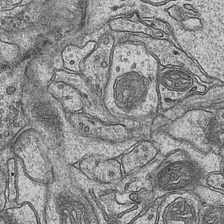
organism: Mouse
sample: CA1 Hippocampus